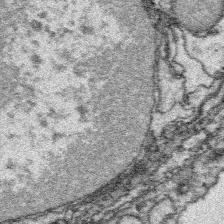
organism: Platynereis dumerilii